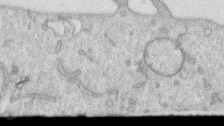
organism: Human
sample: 1205lu cells